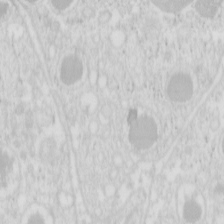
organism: Mouse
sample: Pancreas